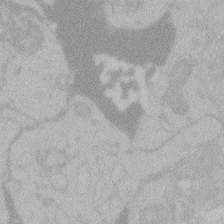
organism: Zebrafish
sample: Macrophage infected with Toxoplasma gondii